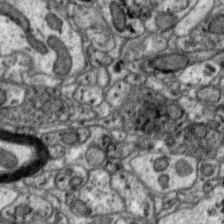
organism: Zebra finch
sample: Brain